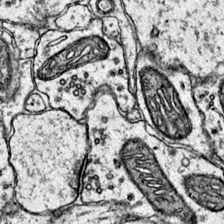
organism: Mouse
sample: Primary visual cortex